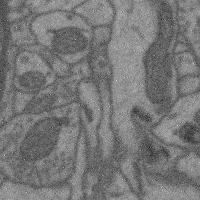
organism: Mouse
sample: Cerebral cortex